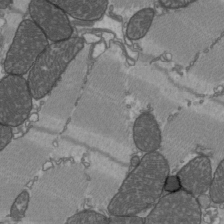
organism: C57BL Mouse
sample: Heart